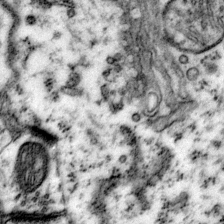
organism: Mouse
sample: Primary visual cortex